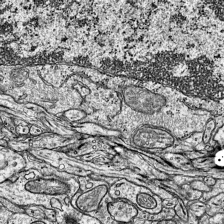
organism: Mouse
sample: Visual Cortex